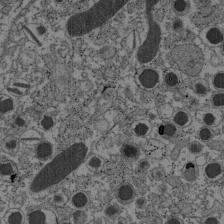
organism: C57BL Mouse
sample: Pancreatic islet